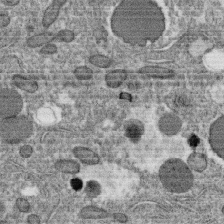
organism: C. elegans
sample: C. elegans oocyte; sperm cells